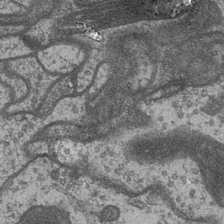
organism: Drosophila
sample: Optic medulla